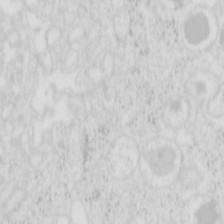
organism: Mouse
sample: Pancreas